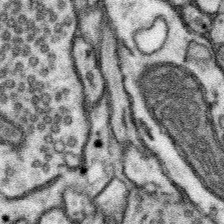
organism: Mouse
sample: Somatosensory cortex neuropil